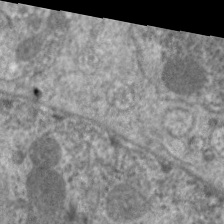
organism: C. elegans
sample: Pharynx